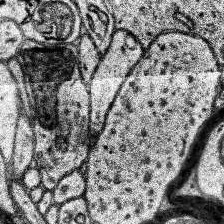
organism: Human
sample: Temporal Lobe